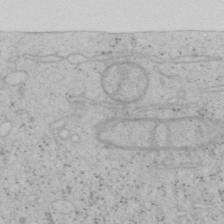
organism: Human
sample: HeLa cells